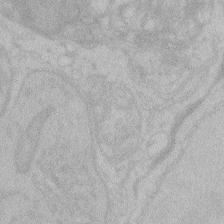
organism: Zebrafish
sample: Macrophage infected with Toxoplasma gondii